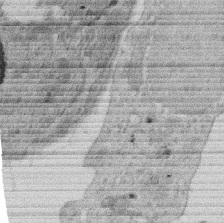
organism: Rat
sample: Salivary granule